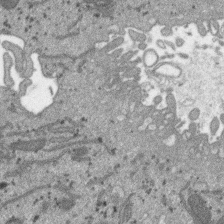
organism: Human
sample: Lung epithelial cells infected with SARS-CoV-2